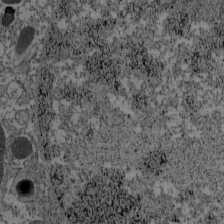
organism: C57BL Mouse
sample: Pancreatic islet